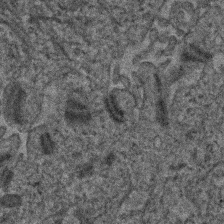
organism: Human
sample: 1205lu cells